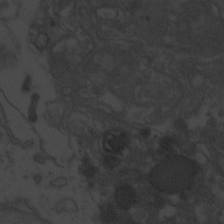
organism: Zebrafish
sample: Macrophage infected with Toxoplasma gondii